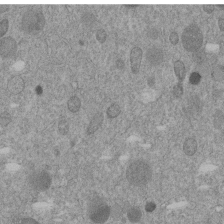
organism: C. elegans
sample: C. elegans embryo early stage